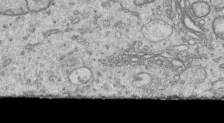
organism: Human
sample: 1205lu cells